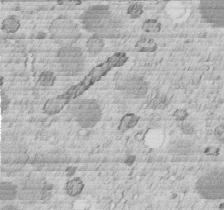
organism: C. elegans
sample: C. elegans embryo early stage